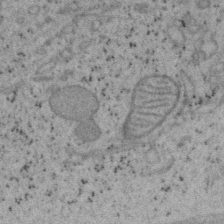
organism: Human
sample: HeLa cells